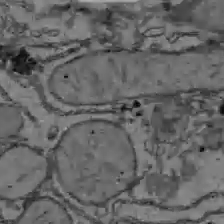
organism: C57BL Mouse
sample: Liver